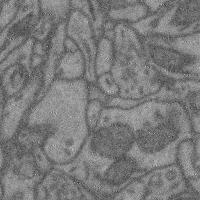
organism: Mouse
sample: Cerebral cortex